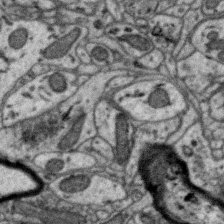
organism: Zebra finch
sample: Brain